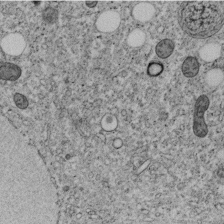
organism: C. elegans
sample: C. elegans embryo early stage